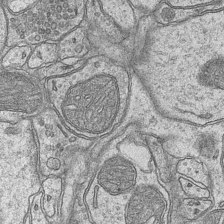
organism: Mouse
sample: CA1 Hippocampus